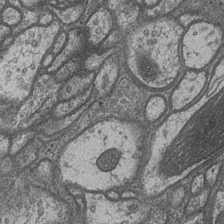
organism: Drosophila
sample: Optic medulla